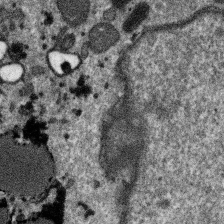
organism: Human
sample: Lung epithelial cells infected with SARS-CoV-2